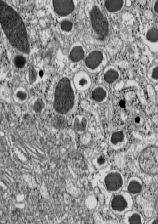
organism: C57BL Mouse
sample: Pancreatic islet